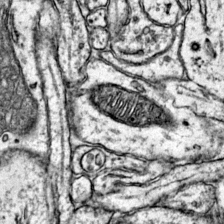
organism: Mouse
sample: Primary visual cortex